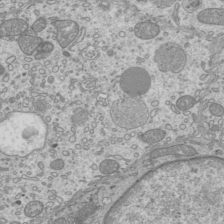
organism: Mouse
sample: Cilia; mouse epididymis